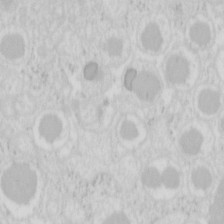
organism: Mouse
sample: Pancreas